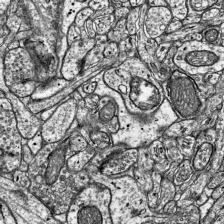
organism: Mouse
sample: Visual Cortex